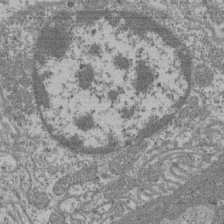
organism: Mouse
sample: Glomerulus